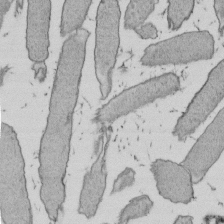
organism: E. coli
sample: Bacterial nucleoid